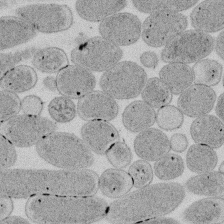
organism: E. coli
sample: Bacterial nucleoid